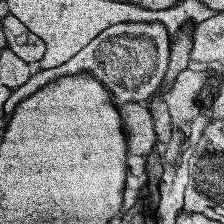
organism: Human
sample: Temporal Lobe